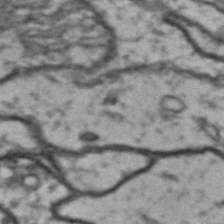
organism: Drosophila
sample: Brain